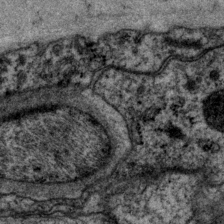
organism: P. pacificus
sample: Pharynx